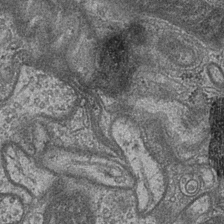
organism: Drosophila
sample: Optic medulla